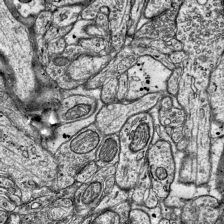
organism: Mouse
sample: Visual Cortex